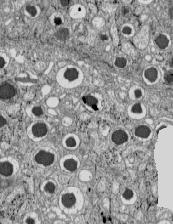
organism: C57BL Mouse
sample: Pancreatic islet